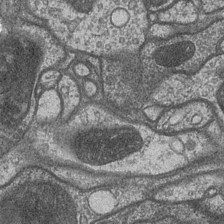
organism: Drosophila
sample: Optic medulla